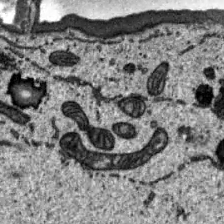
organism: Human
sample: HeLa cells